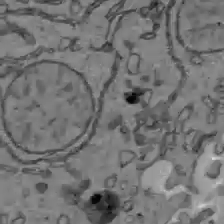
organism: C57BL Mouse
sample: Liver